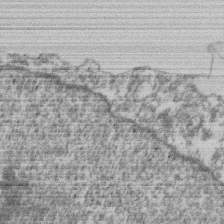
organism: Mouse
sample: T cell stromal cell synapse